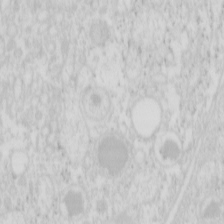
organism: Mouse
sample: Pancreas